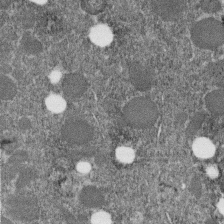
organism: C. elegans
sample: C. elegans embryo early stage